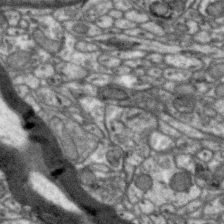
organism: Zebra finch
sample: Brain